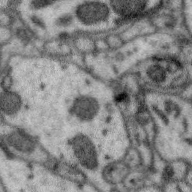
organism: Zebra finch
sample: Brain